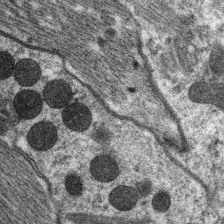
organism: C. elegans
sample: Pharynx